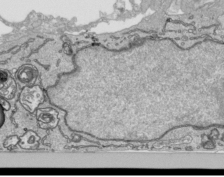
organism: Human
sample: Mitochondria in HCT116 cells